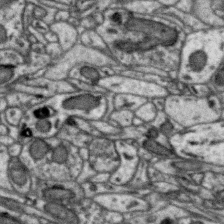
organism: Zebra finch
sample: Brain